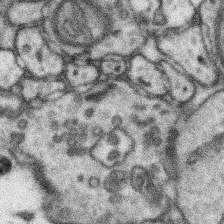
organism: Mouse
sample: Somatosensory cortex neuropil